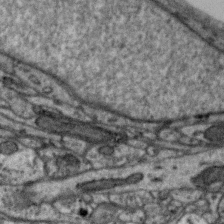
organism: Zebra finch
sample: Brain